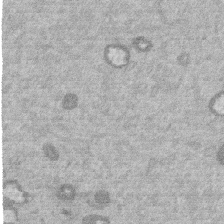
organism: Mouse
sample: Dividing mouse embryo 1 cell stage